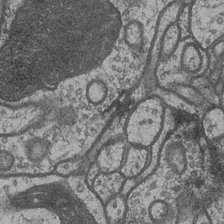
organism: Drosophila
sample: Optic medulla